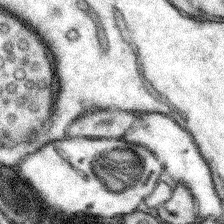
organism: Mouse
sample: Somatosensory cortex neuropil